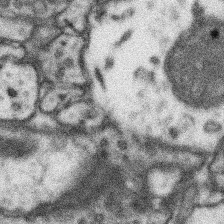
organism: Mouse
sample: Somatosensory cortex neuropil